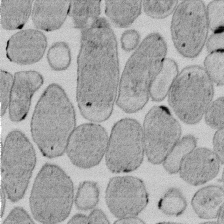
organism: E. coli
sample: Bacterial nucleoid